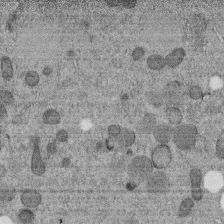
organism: C. elegans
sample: C. elegans embryo early stage